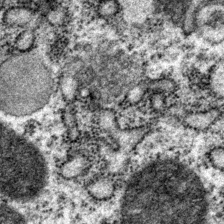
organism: P. pacificus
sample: Pharynx